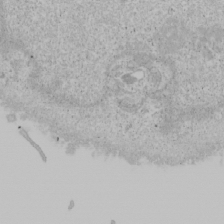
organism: Human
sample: Mitochondria in U2OS cells